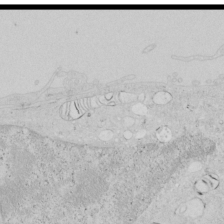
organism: Human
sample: Mitochondria in HCT116 cells